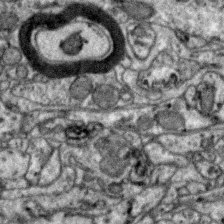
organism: Zebra finch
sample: Brain